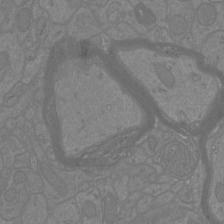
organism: Mouse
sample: Cortical neurons